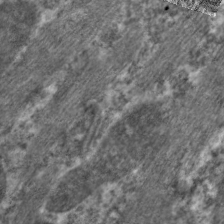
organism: C. elegans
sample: Pharynx